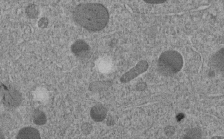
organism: C. elegans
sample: C. elegans embryo early stage